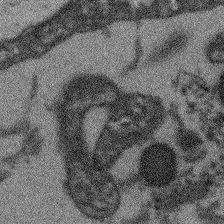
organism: Arabidopsis thaliana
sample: Root tip